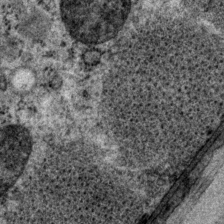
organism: P. pacificus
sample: Pharynx